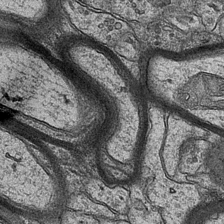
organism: Mouse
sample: CA1 Hippocampus